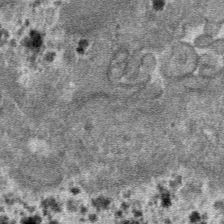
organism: Mouse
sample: Mouse hepatocytes